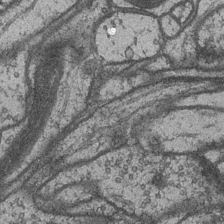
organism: Drosophila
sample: Optic medulla